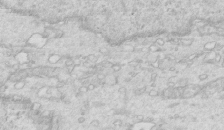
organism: Mouse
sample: Multiciliated cells